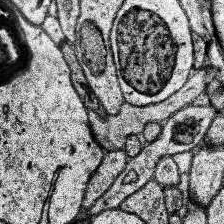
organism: Human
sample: Temporal Lobe